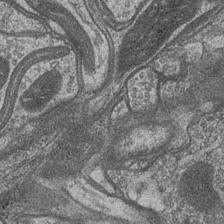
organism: Drosophila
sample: Optic medulla